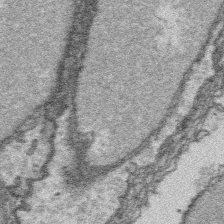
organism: Platynereis dumerilii